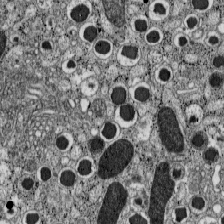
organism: C57BL Mouse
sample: Pancreatic islet